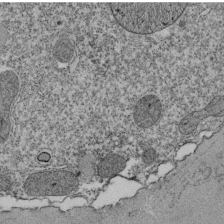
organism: Tetrahymena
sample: Cilia in tetrahymena